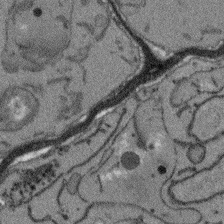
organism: Arabidopsis thaliana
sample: Root tip